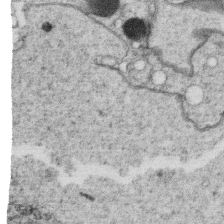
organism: C. elegans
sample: C. elegans oocyte; sperm cells